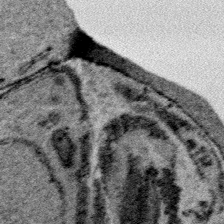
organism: Plasmodium falciparum